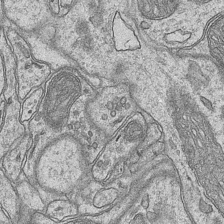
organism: Mouse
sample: CA1 Hippocampus